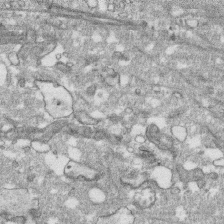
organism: Human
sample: CRL-1474